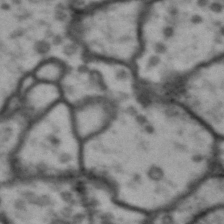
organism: Drosophila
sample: Brain